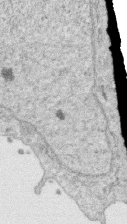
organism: Human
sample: HeLa cell HIV synapse